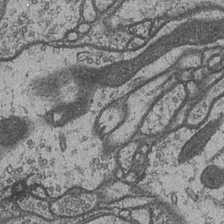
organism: Drosophila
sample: Optic medulla